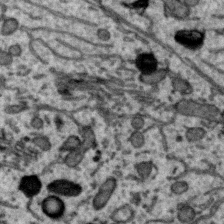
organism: Zebra finch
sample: Brain